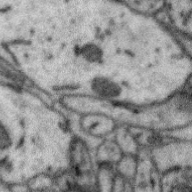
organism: Zebra finch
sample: Brain